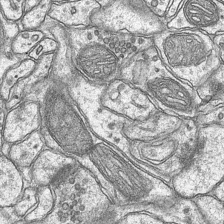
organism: Mouse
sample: CA1 Hippocampus